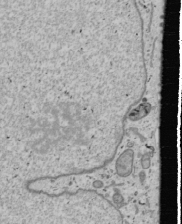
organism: Human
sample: Mitochondria in U2OS cells